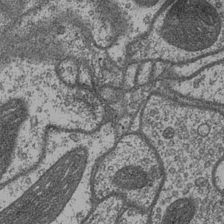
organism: Drosophila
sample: Optic medulla